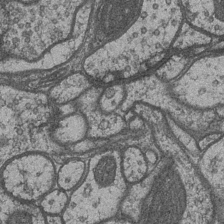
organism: Drosophila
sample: Optic medulla